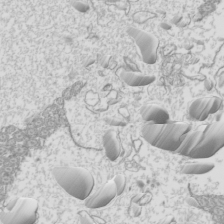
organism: Mouse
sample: Cilia; mouse epididymis